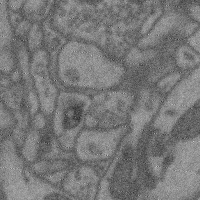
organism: Mouse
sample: Cerebral cortex